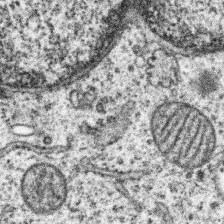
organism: Human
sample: HeLa cells